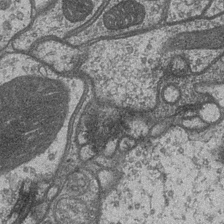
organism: Drosophila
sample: Optic medulla